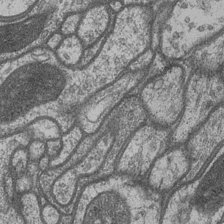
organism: Drosophila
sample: Optic medulla